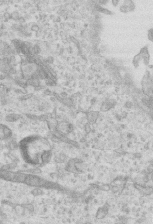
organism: Mouse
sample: Centriole in ependymal cells